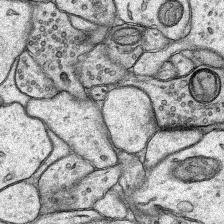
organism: Rat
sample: Hippocampus